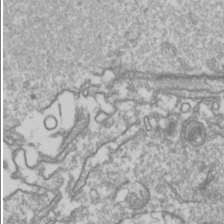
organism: Drosophila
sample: Cell division; meiosis; drosophila spermatocytes